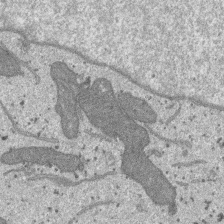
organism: Human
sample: Lung epithelial cells infected with SARS-CoV-2